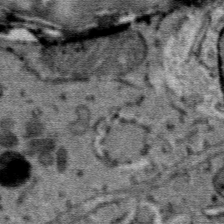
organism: Mouse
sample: Mouse Salivary gland